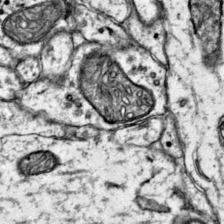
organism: Mouse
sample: Primary visual cortex